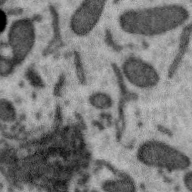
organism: Zebra finch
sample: Brain